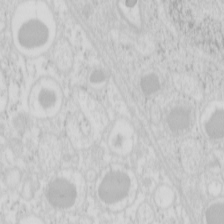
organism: Mouse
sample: Pancreas